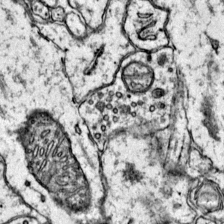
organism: Mouse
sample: Primary visual cortex